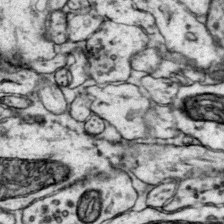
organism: Mouse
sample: Primary visual cortex